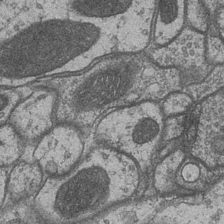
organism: Drosophila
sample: Optic medulla